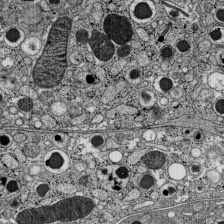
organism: C57BL Mouse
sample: Pancreatic islet